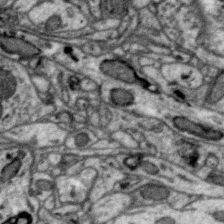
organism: Zebra finch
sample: Brain